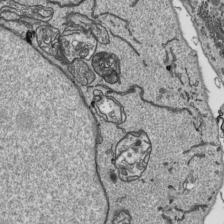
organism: Human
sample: Mitochondria in HCT116 cells